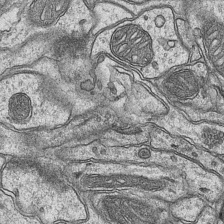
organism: Mouse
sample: CA1 Hippocampus